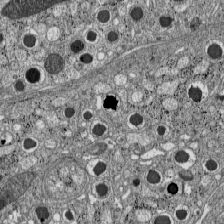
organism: C57BL Mouse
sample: Pancreatic islet